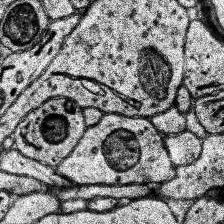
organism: Human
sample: Temporal Lobe